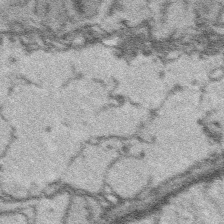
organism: Platynereis dumerilii